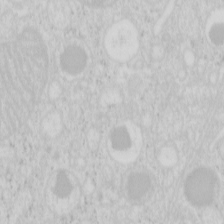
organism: Mouse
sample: Pancreas